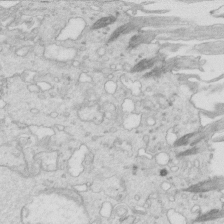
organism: Mouse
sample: Multiciliated cells